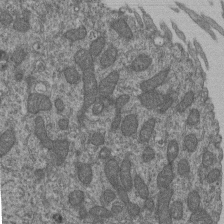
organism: Human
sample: Retinal organoid Rod and Cone cells